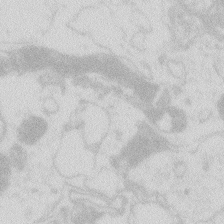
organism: Zebrafish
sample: Macrophage